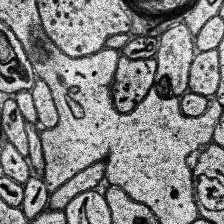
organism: Human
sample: Temporal Lobe